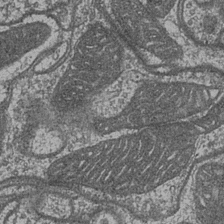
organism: Drosophila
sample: Optic medulla